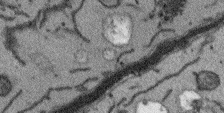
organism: Arabidopsis thaliana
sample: Root tip